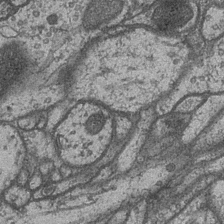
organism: Drosophila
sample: Optic medulla